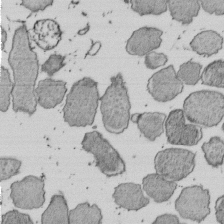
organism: E. coli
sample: Bacterial nucleoid